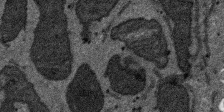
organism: Human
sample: Lung epithelial cells infected with SARS-CoV-2